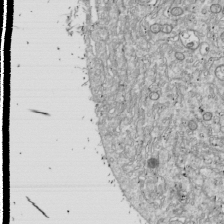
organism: Drosophila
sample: Cell division; meiosis; drosophila spermatocytes